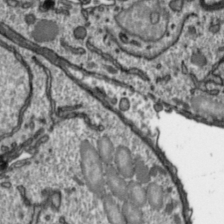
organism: Toxoplasma gondii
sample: Parasites in a vacuole inside a host cell